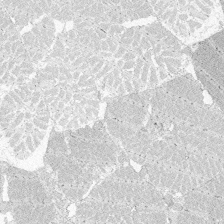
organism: Zebrafish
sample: Whole-Brain